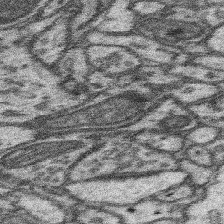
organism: Mouse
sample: Somatosensory cortex neuropil